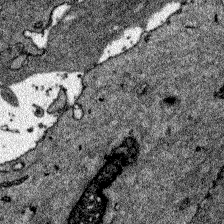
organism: Zebrafish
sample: Larval olfactory bulb